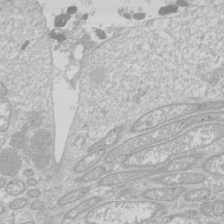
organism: Drosophila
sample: Cell division; meiosis; drosophila spermatocytes